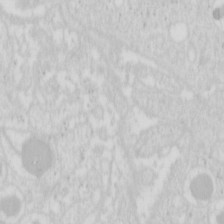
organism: Mouse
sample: Pancreas